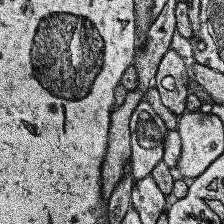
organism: Human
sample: Temporal Lobe